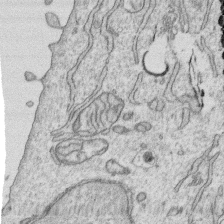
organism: Human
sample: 1205lu cells